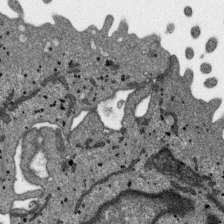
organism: Human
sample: Lung epithelial cells, uninfected (mock) control